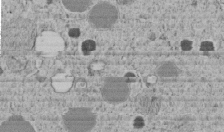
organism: C. elegans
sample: C. elegans embryo early stage